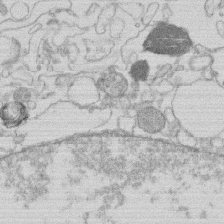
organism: Human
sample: Macrophage cells